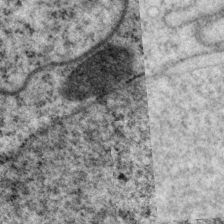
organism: P. pacificus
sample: Pharynx